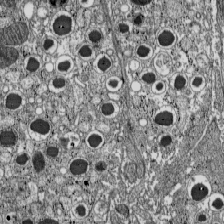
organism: C57BL Mouse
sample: Pancreatic islet